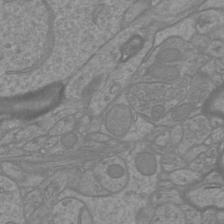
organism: Mouse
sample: Cortical neurons